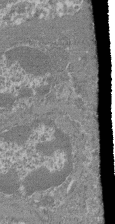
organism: Mouse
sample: Glomerulus